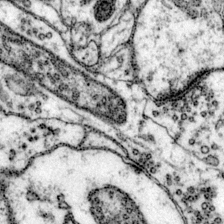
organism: Mouse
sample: Primary visual cortex